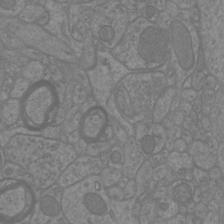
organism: Mouse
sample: Cortical neurons